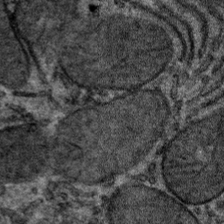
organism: Mouse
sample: Mouse hepatocytes